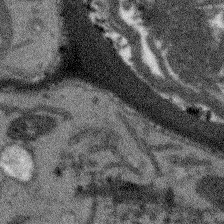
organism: Arabidopsis thaliana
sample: Root tip